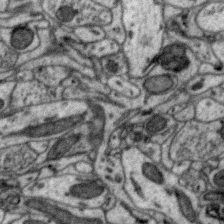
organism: Zebra finch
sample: Brain